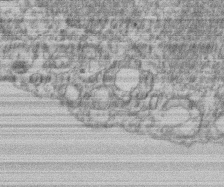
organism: Mouse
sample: T cell stromal cell synapse